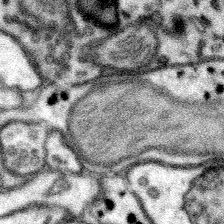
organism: Mouse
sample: Somatosensory cortex neuropil